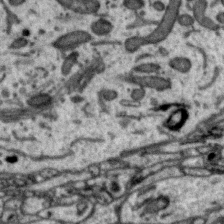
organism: Zebra finch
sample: Brain